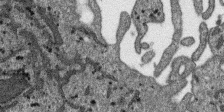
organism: Human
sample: Lung epithelial cells infected with SARS-CoV-2